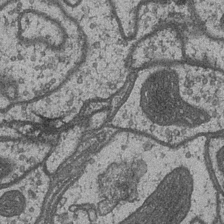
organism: Drosophila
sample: Optic medulla